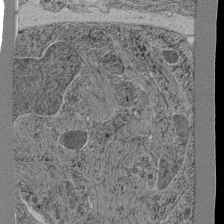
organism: C. elegans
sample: C. elegans pharynx